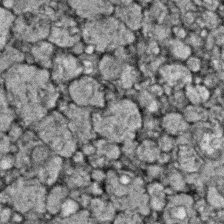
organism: Zebrafish